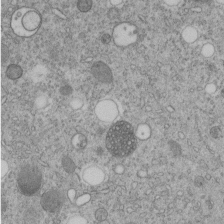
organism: C. elegans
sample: C. elegans embryo early stage